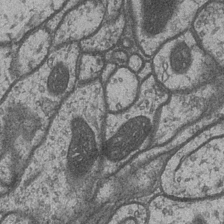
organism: Drosophila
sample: Optic medulla